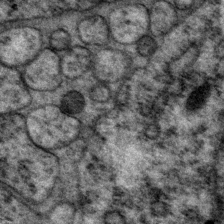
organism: P. pacificus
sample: Pharynx